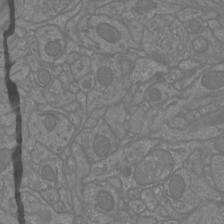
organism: Mouse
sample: Cortical neurons